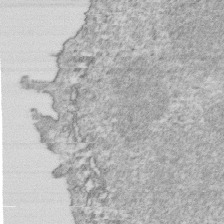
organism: Mouse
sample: Activated OT-1 CD8+ T cells